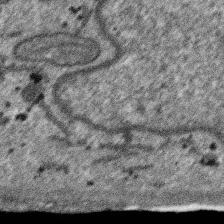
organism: Human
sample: Lung epithelial cells infected with SARS-CoV-2